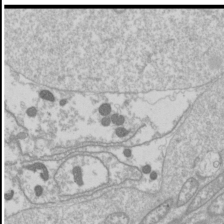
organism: Drosophila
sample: Cell division; meiosis; drosophila spermatocytes